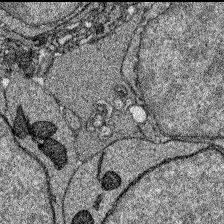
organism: Zebrafish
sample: Larval olfactory bulb